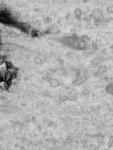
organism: Human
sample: Centriole in RPE cells